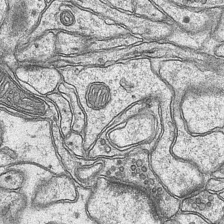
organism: Mouse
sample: CA1 Hippocampus